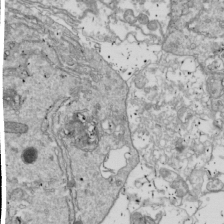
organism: Drosophila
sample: Cell division; meiosis; drosophila spermatocytes